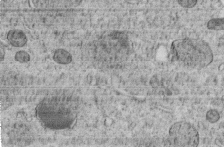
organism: C. elegans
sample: C. elegans embryo early stage